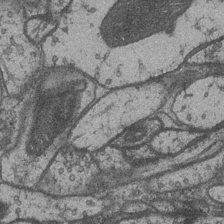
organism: Drosophila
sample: Optic medulla